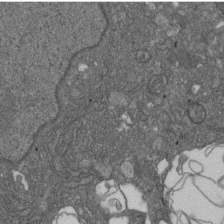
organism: Drosophila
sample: Nephrocyte